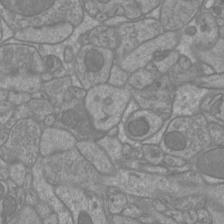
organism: Mouse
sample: Cortical neurons